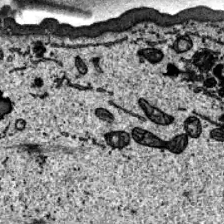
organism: Human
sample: HeLa cells